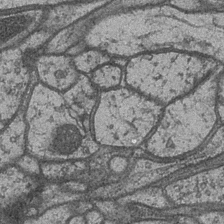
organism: Drosophila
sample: Optic medulla